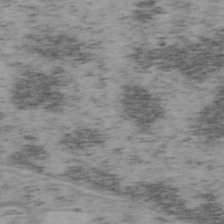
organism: Mouse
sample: OT-I killer T cells with ID8 ovarian cancer cells